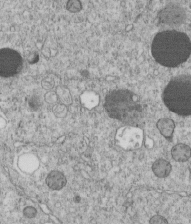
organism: C. elegans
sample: C. elegans embryo early stage